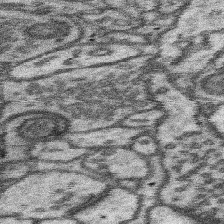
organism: Mouse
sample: Somatosensory cortex neuropil